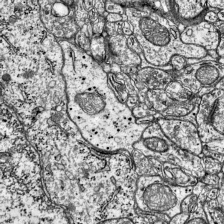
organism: Mouse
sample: Visual Cortex